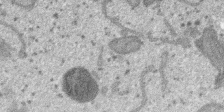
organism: Human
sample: Lung epithelial cells infected with SARS-CoV-2